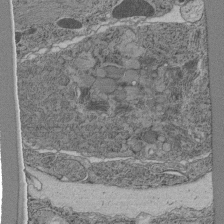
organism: C. elegans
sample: C. elegans pharynx